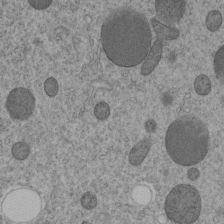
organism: C. elegans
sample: C. elegans embryo early stage